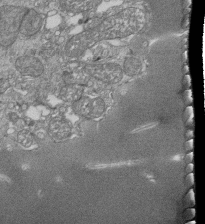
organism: Tetrahymena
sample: Cilia in tetrahymena